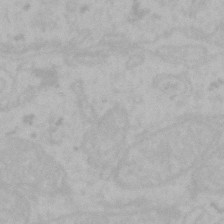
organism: Mouse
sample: Choroid plexus